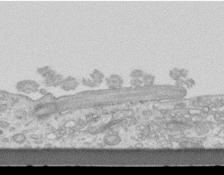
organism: Mouse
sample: Centriole in ependymal cells